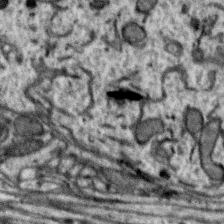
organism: Zebra finch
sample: Brain